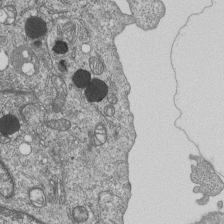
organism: Human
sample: MDA-MB-231 cells